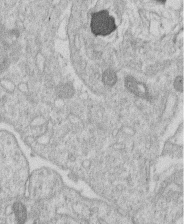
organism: Human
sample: Macrophage cells